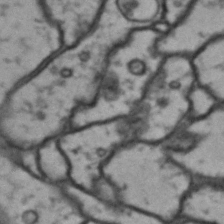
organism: Drosophila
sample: Brain